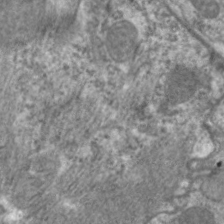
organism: C. elegans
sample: Pharynx